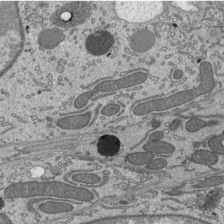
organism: Mouse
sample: Mouse epididymis efferent ductule cilia